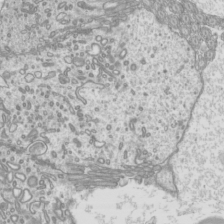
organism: Mouse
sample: Cilia; mouse epididymis